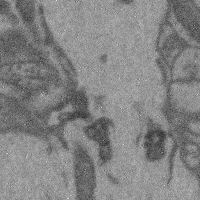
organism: Mouse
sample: Cerebral cortex